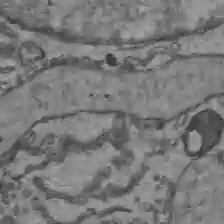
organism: C57BL Mouse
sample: Liver